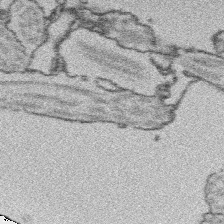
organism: Platynereis dumerilii